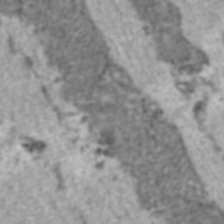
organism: C57BL Mouse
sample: Heart